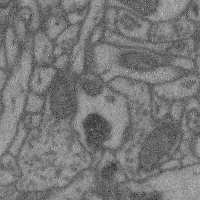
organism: Mouse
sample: Cerebral cortex